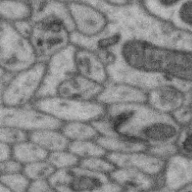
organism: Zebra finch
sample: Brain